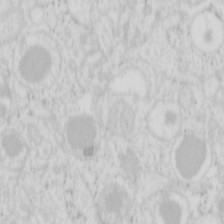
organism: Mouse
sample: Pancreas